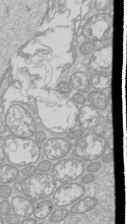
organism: Drosophila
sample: Cell division; meiosis; drosophila spermatocytes